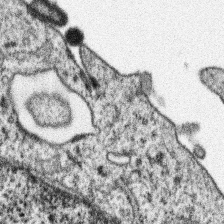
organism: Human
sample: HeLa cells